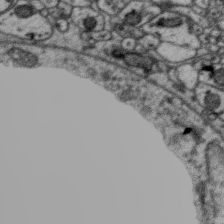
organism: Zebra finch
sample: Brain